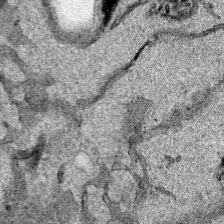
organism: Human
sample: Mitochondria in HCT116 cells